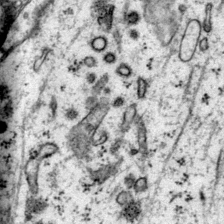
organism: Mouse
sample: Primary visual cortex